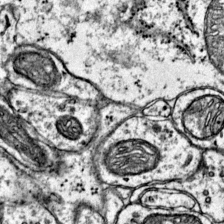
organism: Mouse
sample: Primary visual cortex